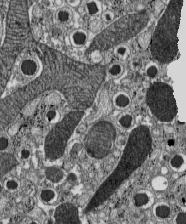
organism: C57BL Mouse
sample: Pancreatic islet